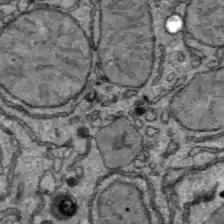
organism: C57BL Mouse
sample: Liver